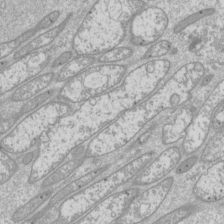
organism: Drosophila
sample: Cell division; meiosis; drosophila spermatocytes